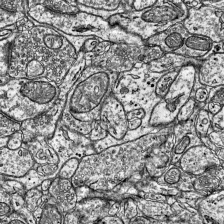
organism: Mouse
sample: Visual Cortex